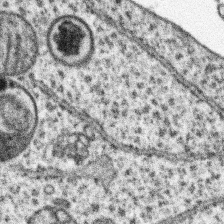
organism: Human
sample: HeLa cells